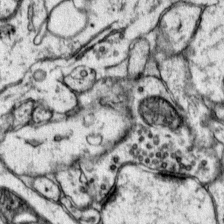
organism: Mouse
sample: Primary visual cortex